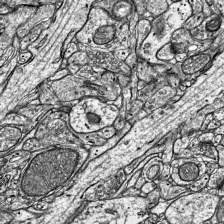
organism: Mouse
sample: Visual Cortex